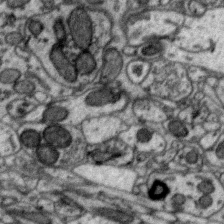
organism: Zebra finch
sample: Brain